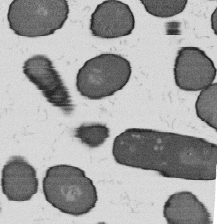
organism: B. subtilis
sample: Bacterial spore